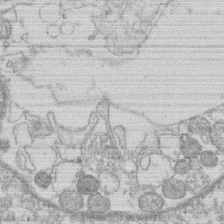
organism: Human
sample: Macrophage cells